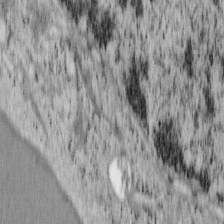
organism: Human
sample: HeLa cells